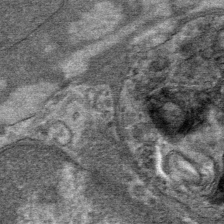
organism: Mouse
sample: Mouse Salivary gland